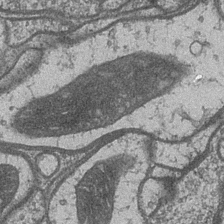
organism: Drosophila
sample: Optic medulla